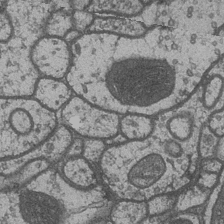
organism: Drosophila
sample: Optic medulla